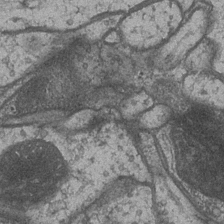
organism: Drosophila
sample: Optic medulla